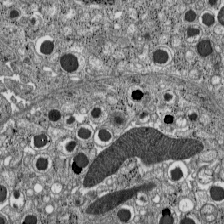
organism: C57BL Mouse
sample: Pancreatic islet